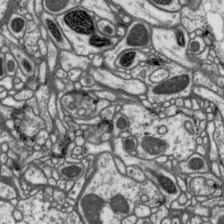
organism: Drosophila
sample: Protocerebral bridge